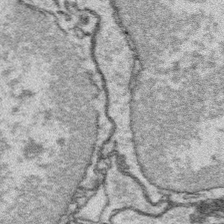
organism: Platynereis dumerilii